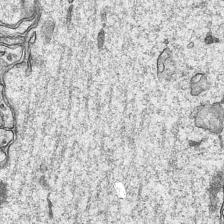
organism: Mouse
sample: CA1 Hippocampus